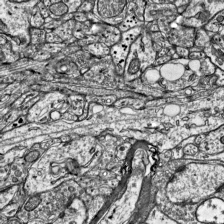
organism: Mouse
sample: Visual Cortex